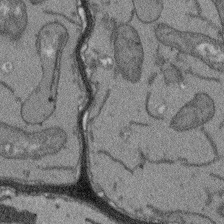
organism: Arabidopsis thaliana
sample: Root tip